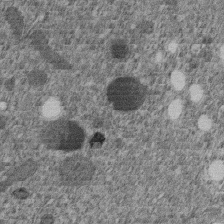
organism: C. elegans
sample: C. elegans embryo early stage